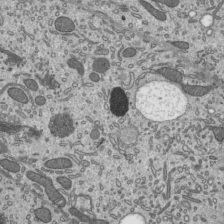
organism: Mouse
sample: Mouse epididymis efferent ductule cilia